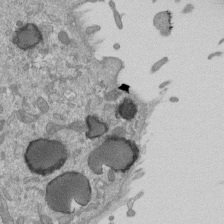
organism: Mouse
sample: ED-1 cell nuclei; centrioles